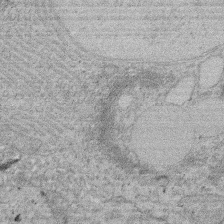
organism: Rat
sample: Salivary granule